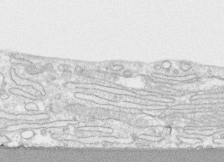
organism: Human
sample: CRL-1474